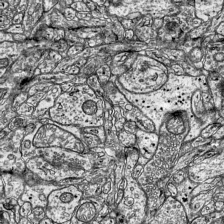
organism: Mouse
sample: Visual Cortex